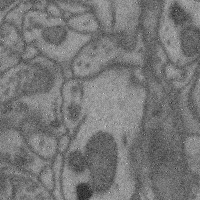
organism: Mouse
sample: Cerebral cortex